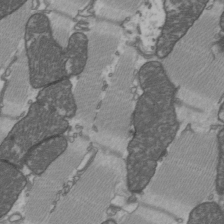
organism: C57BL Mouse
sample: Heart